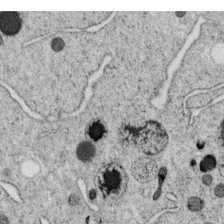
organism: C. elegans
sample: C. elegans oocyte; sperm cells